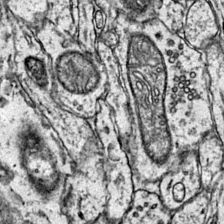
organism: Mouse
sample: Primary visual cortex